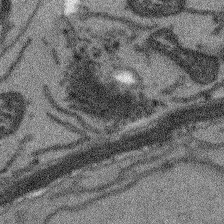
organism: Arabidopsis thaliana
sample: Root tip